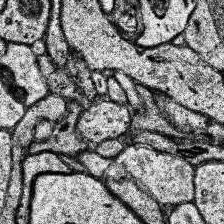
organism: Human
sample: Temporal Lobe